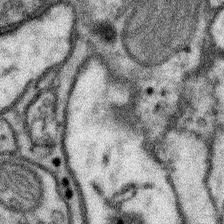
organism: Mouse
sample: Somatosensory cortex neuropil